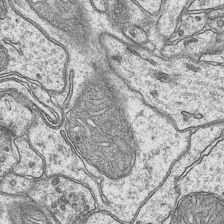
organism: Mouse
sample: CA1 Hippocampus